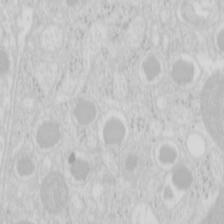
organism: Mouse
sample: Pancreas